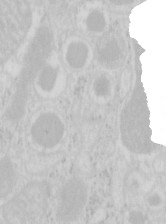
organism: Mouse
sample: Pancreas